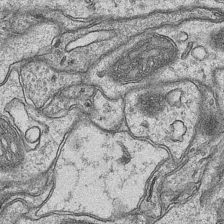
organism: Mouse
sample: CA1 Hippocampus